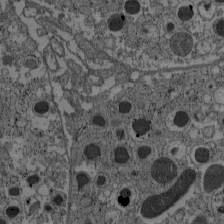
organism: C57BL Mouse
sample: Pancreatic islet